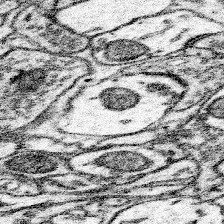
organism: Mouse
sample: Somatosensory cortex neuropil